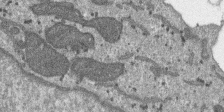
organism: Human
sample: Lung epithelial cells infected with SARS-CoV-2